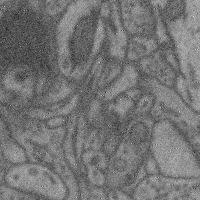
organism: Mouse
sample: Cerebral cortex